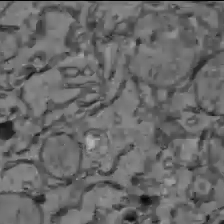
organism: C57BL Mouse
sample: Liver